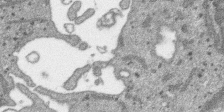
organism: Human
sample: Lung epithelial cells infected with SARS-CoV-2